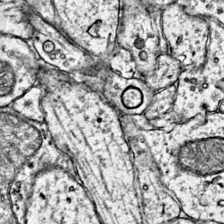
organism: Mouse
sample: Primary visual cortex